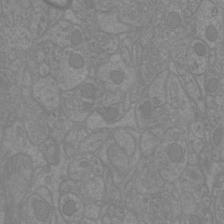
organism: Mouse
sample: Cortical neurons